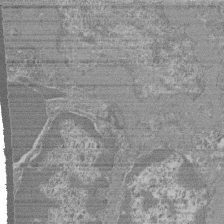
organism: Mouse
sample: Glomerulus